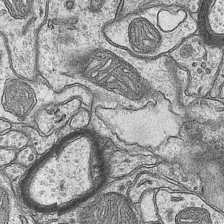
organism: Mouse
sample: CA1 Hippocampus